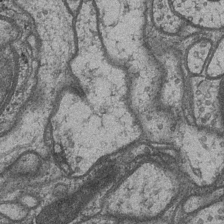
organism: Drosophila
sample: Optic medulla